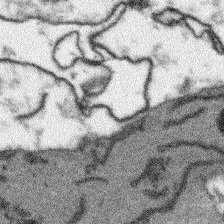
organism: Arabidopsis thaliana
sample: Root tip